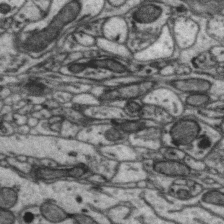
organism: Zebra finch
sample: Brain